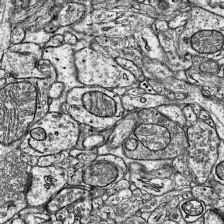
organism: Mouse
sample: Visual Cortex